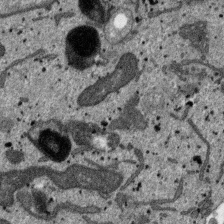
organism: Human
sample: Lung epithelial cells, uninfected (mock) control